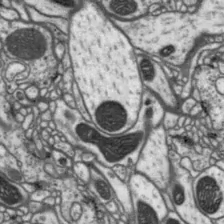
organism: Drosophila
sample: Protocerebral bridge